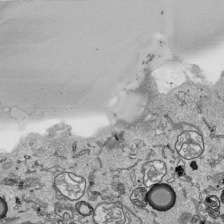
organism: Human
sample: Mitochondria in HCT116 cells